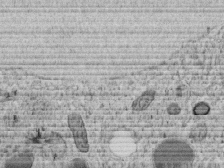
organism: C. elegans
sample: C. elegans embryo early stage